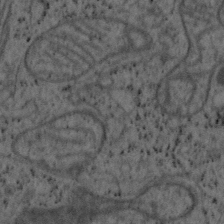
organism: Human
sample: HeLa cells